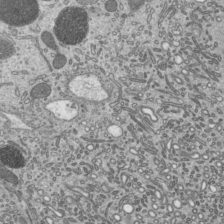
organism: Mouse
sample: Mouse epididymis efferent ductule cilia